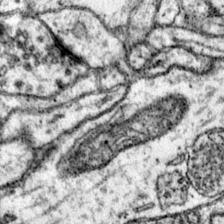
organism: Mouse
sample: Primary visual cortex